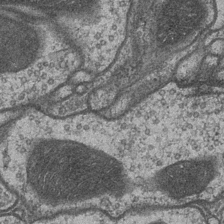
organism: Drosophila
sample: Optic medulla